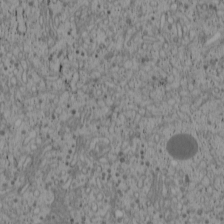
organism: African green monkey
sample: COS-7 cells